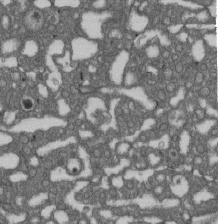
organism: Drosophila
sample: Nephrocyte